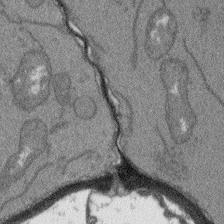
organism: Arabidopsis thaliana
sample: Root tip